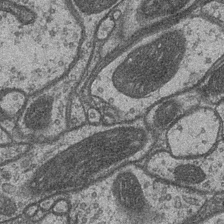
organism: Drosophila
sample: Optic medulla